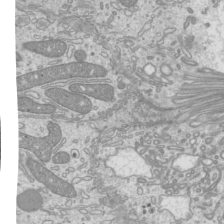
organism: Mouse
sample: Cilia; mouse epididymis